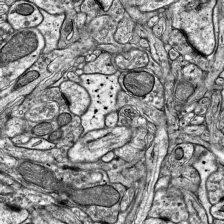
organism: Mouse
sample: Visual Cortex